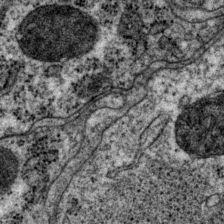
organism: P. pacificus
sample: Pharynx